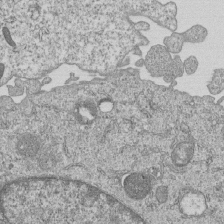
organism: Human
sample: MDA-MB-231 cells